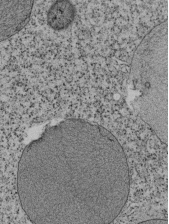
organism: Tetrahymena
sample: Cilia in tetrahymena